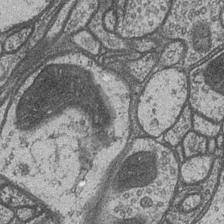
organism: Drosophila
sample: Optic medulla